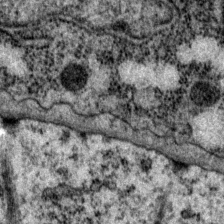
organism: P. pacificus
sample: Pharynx